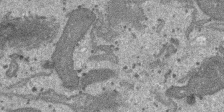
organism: Human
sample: Lung epithelial cells infected with SARS-CoV-2